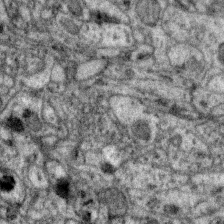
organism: Zebra finch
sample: Brain